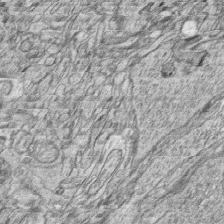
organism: Zebrafish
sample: synaptic ribbons in rod cells and cone cells